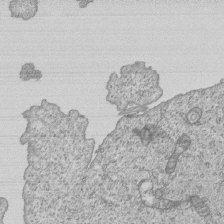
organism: Human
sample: MDA-MB-231 cells